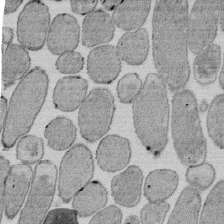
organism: E. coli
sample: Bacterial nucleoid